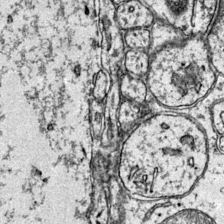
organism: Mouse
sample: Primary visual cortex